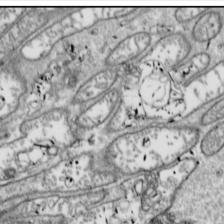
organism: Drosophila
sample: Cell division; meiosis; drosophila spermatocytes